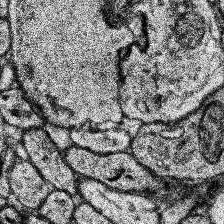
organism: Human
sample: Temporal Lobe